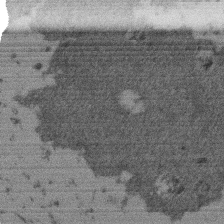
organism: Mouse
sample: Dividing mouse embryo 1 cell stage